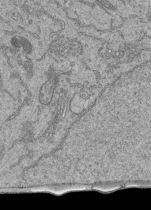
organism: Human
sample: Retinal organoid Rod and Cone cells